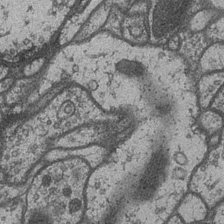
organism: Drosophila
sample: Optic medulla